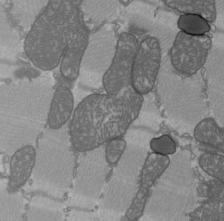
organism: C57BL Mouse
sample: Heart